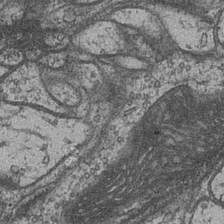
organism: Drosophila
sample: Optic medulla